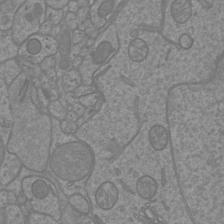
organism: Mouse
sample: Cortical neurons